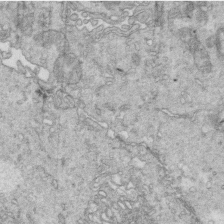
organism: Mouse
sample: Multiciliated cells